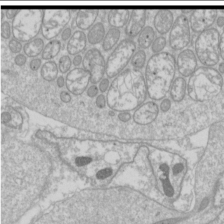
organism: Drosophila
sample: Cell division; meiosis; drosophila spermatocytes